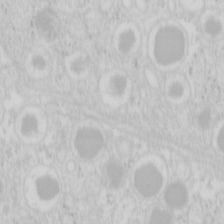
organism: Mouse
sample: Pancreas